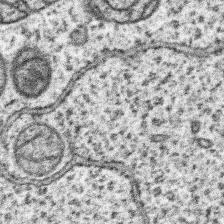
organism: Human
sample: HeLa cells